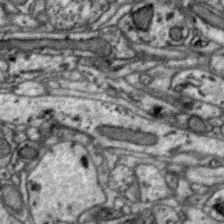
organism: Zebra finch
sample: Brain